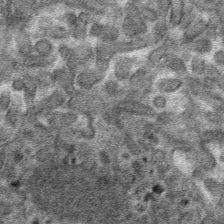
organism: Mouse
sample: Mouse hepatocytes